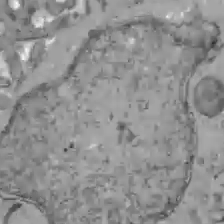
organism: C57BL Mouse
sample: Liver